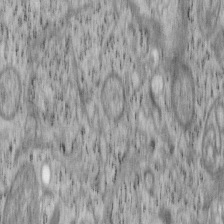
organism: Human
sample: HeLa cells